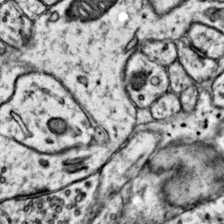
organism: Mouse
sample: Primary visual cortex